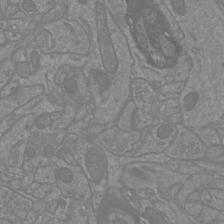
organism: Mouse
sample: Cortical neurons